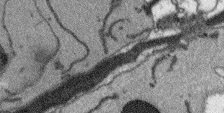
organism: Arabidopsis thaliana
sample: Root tip